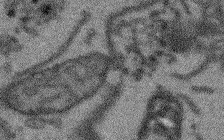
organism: Arabidopsis thaliana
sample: Root tip